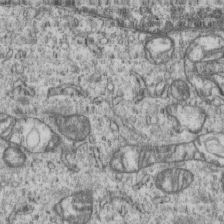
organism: Human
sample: MDA-MB-231 cells